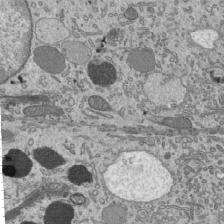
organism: Mouse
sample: Mouse epididymis efferent ductule cilia